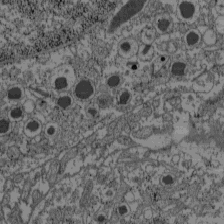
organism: C57BL Mouse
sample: Pancreatic islet